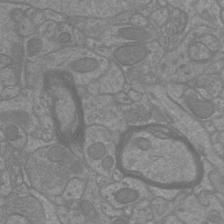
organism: Mouse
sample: Cortical neurons